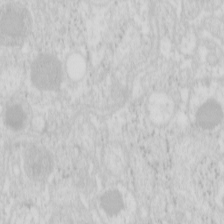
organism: Mouse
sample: Pancreas